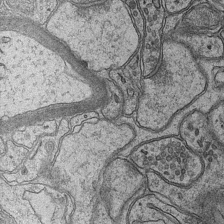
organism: Mouse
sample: CA1 Hippocampus